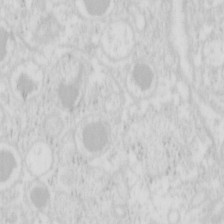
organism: Mouse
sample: Pancreas